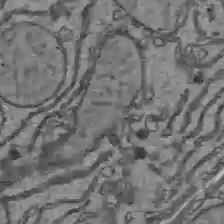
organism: C57BL Mouse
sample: Liver